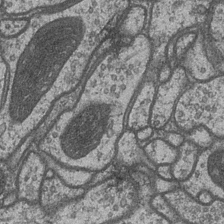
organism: Drosophila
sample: Optic medulla